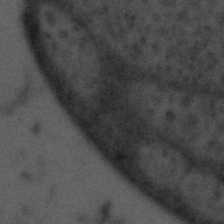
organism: Tuwongella immobilis